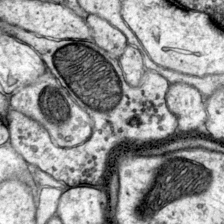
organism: Mouse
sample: Primary visual cortex